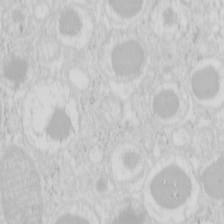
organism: Mouse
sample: Pancreas